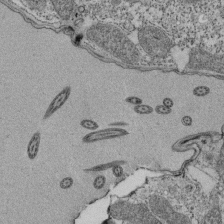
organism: Tetrahymena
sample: Cilia in tetrahymena